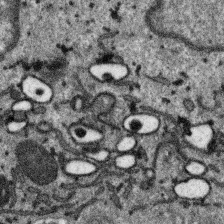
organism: Human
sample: Lung epithelial cells infected with SARS-CoV-2